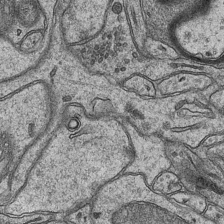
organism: Mouse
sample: CA1 Hippocampus